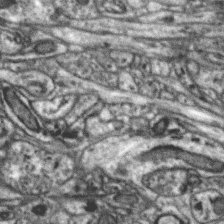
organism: Zebra finch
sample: Brain